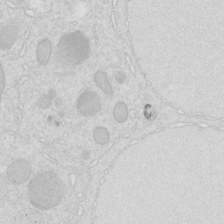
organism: C. elegans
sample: C. elegans embryo early stage